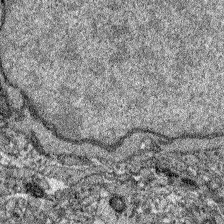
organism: Zebrafish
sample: Larval olfactory bulb